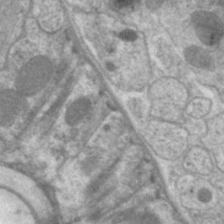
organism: C. elegans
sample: Pharynx